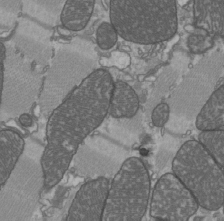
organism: C57BL Mouse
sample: Heart